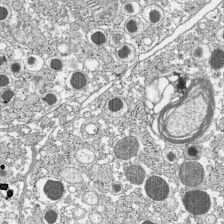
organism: C57BL Mouse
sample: Pancreatic islet